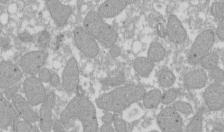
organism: Xenopus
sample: Cilia; centrioles in frog embryo cells